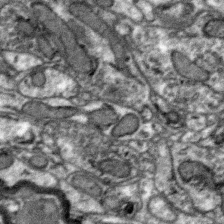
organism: Zebra finch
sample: Brain